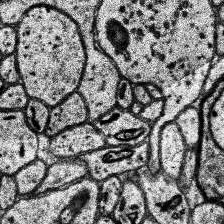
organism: Human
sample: Temporal Lobe